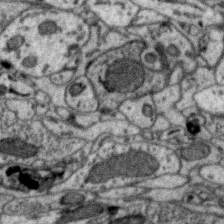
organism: Zebra finch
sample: Brain